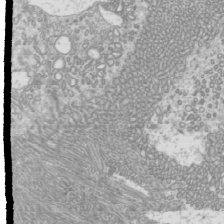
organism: Mouse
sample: Cilia; mouse epididymis